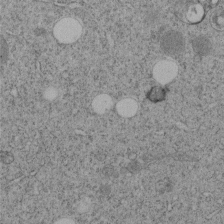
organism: C. elegans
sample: C. elegans embryo early stage